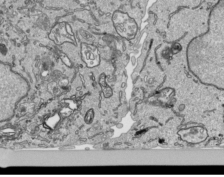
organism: Human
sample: Mitochondria in HCT116 cells